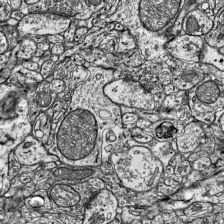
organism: Mouse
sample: Visual Cortex